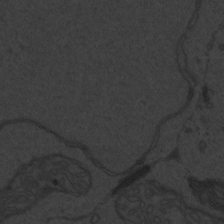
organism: Zebrafish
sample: Macrophage infected with Toxoplasma gondii